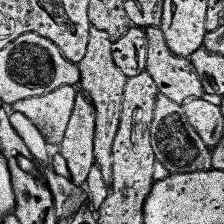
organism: Human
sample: Temporal Lobe